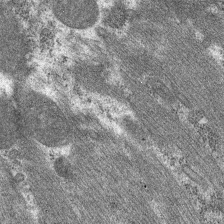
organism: C. elegans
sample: Pharynx